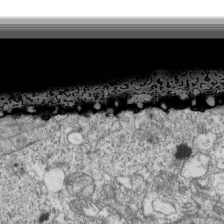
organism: Human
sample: HeLa cell HIV synapse